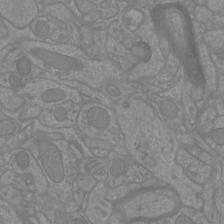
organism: Mouse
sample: Cortical neurons